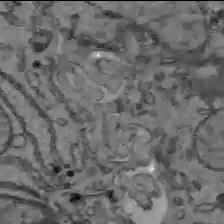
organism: C57BL Mouse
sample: Liver